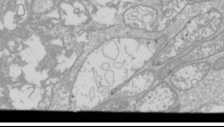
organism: Drosophila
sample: Cell division; meiosis; drosophila spermatocytes